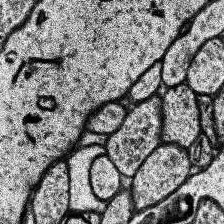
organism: Human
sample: Temporal Lobe